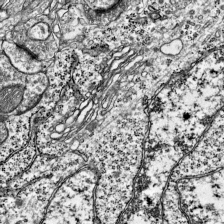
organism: Mouse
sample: Visual Cortex